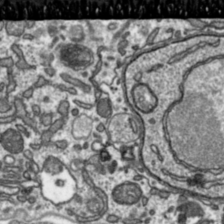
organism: Toxoplasma gondii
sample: Parasites in a vacuole inside a host cell